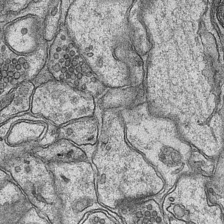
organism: Mouse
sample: CA1 Hippocampus